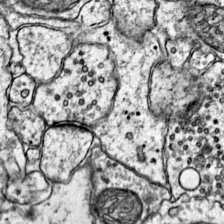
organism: Mouse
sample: Primary visual cortex